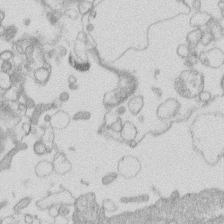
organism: Human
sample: Macrophage cells